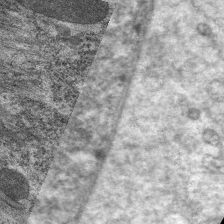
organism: C. elegans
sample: Pharynx